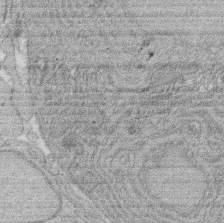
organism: Rat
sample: Salivary granule